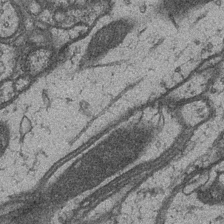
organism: Drosophila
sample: Optic medulla